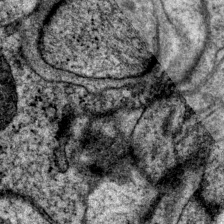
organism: P. pacificus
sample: Pharynx